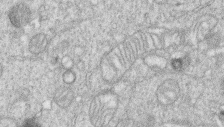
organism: Human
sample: HeLa cell HIV synapse